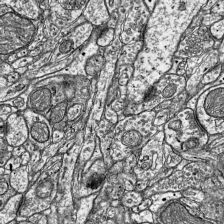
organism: Mouse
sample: Visual Cortex